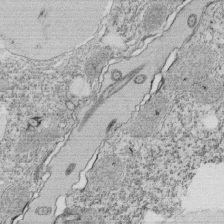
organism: Tetrahymena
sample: Cilia in tetrahymena